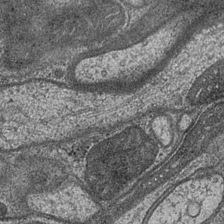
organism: Drosophila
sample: Optic medulla